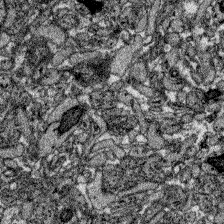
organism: Zebrafish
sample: Larval olfactory bulb